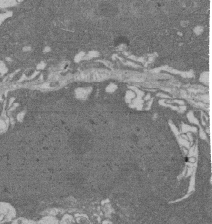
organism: Rat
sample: Salivary granule